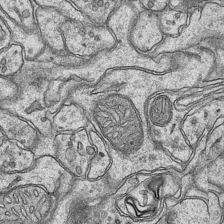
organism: Mouse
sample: CA1 Hippocampus